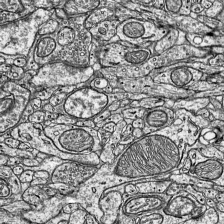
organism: Mouse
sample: Visual Cortex